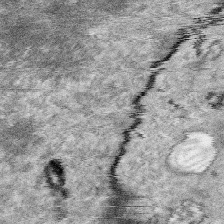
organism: Human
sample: HeLa cells